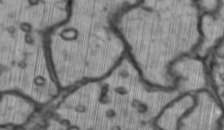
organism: Drosophila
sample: Brain